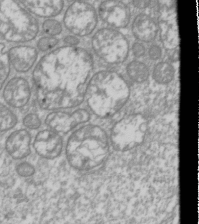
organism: Drosophila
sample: Cell division; meiosis; drosophila spermatocytes